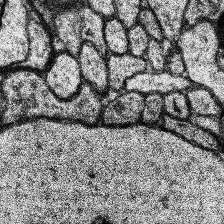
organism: Human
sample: Temporal Lobe